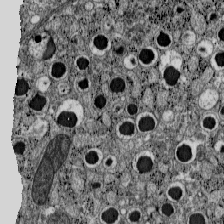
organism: C57BL Mouse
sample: Pancreatic islet